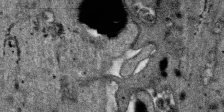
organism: Human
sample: Lung epithelial cells, uninfected (mock) control